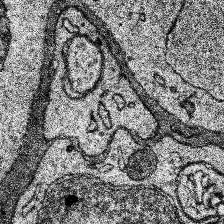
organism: Human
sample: Temporal Lobe